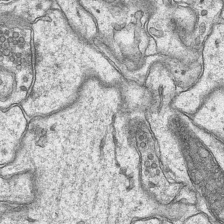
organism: Mouse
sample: CA1 Hippocampus